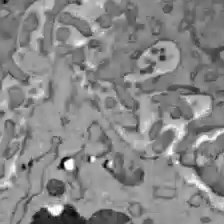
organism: C57BL Mouse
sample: Liver